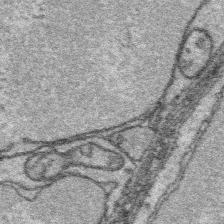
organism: Platynereis dumerilii